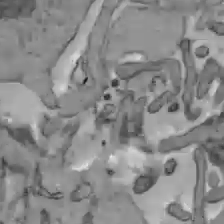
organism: C57BL Mouse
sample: Liver